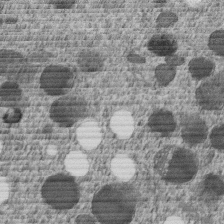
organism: C. elegans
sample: C. elegans embryo early stage